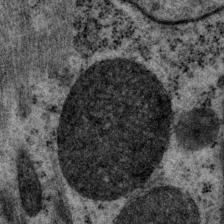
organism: P. pacificus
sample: Pharynx